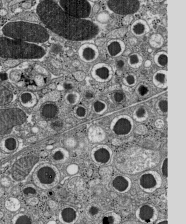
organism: C57BL Mouse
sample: Pancreatic islet